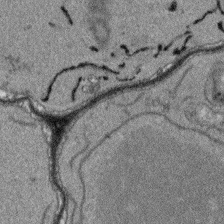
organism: Arabidopsis thaliana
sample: Root tip